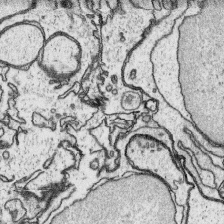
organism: Platynereis dumerilii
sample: Parapodia